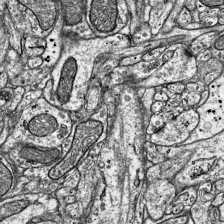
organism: Mouse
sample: Visual Cortex